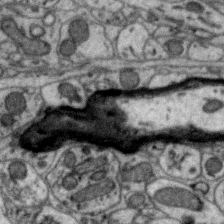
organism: Zebra finch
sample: Brain